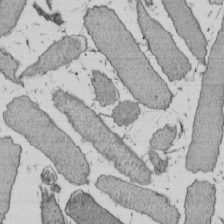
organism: E. coli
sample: Bacterial nucleoid